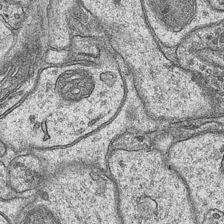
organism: Mouse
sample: CA1 Hippocampus